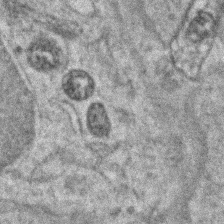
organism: Zebrafish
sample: Zebrafish embryo